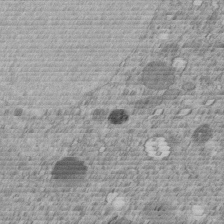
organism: C. elegans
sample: C. elegans embryo early stage